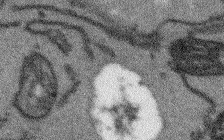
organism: Arabidopsis thaliana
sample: Root tip